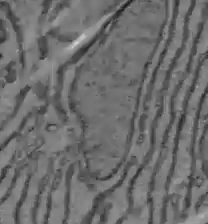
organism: C57BL Mouse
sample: Liver